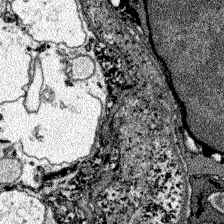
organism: Zebrafish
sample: Larval olfactory bulb